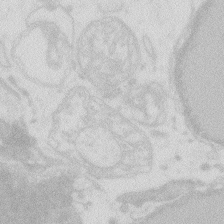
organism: Zebrafish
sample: Macrophage